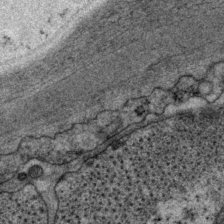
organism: P. pacificus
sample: Pharynx